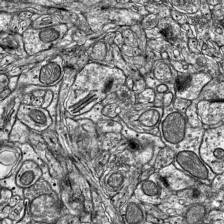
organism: Mouse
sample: Visual Cortex